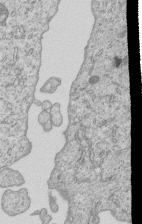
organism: Human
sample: MDA-MB-231 cells